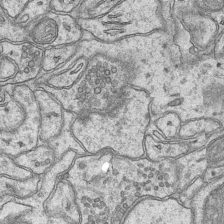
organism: Mouse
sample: CA1 Hippocampus